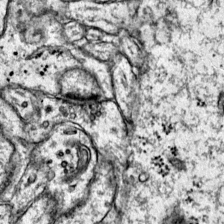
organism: Mouse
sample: Primary visual cortex